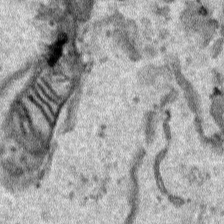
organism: Human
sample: Mitochondria in HCT116 cells